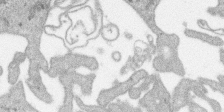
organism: Human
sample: Lung epithelial cells infected with SARS-CoV-2